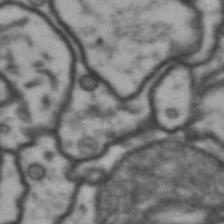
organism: Drosophila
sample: Brain